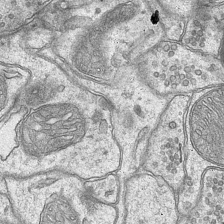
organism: Mouse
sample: CA1 Hippocampus